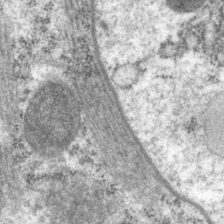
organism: P. pacificus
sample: Pharynx